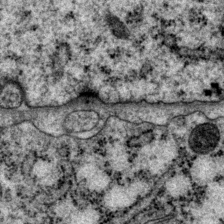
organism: P. pacificus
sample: Pharynx